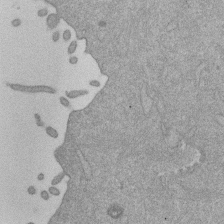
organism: Mouse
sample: Dividing mouse embryo 1 cell stage